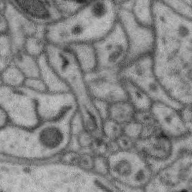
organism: Zebra finch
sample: Brain